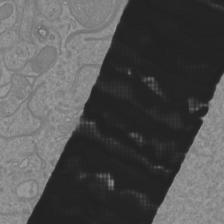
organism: Mouse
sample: Cortical neurons